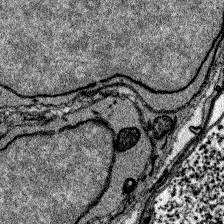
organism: Zebrafish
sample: Larval olfactory bulb